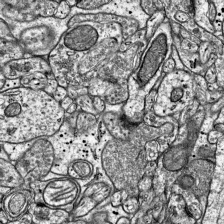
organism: Mouse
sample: Visual Cortex